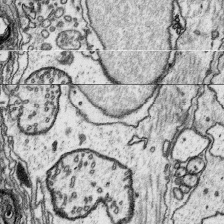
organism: Platynereis dumerilii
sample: Parapodia